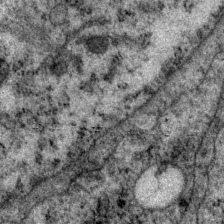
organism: P. pacificus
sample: Pharynx